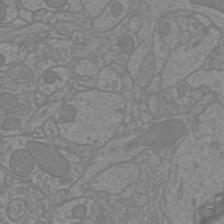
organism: Mouse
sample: Cortical neurons